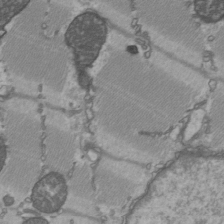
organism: C57BL Mouse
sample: Heart